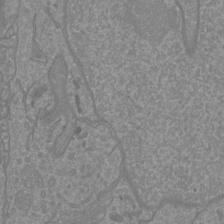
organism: Mouse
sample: Cortical neurons